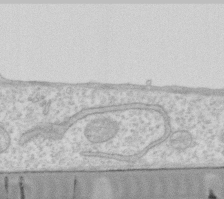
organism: Human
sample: Fibroblast cells